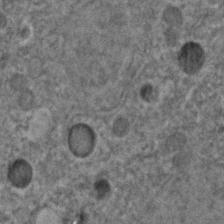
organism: C. elegans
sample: C. elegans embryo